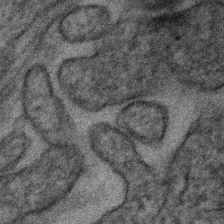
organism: Human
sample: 1205lu cells